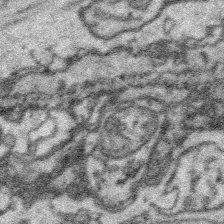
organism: Platynereis dumerilii